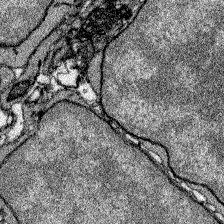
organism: Zebrafish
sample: Larval olfactory bulb